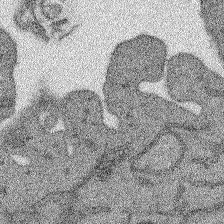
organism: Human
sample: HeLa cells